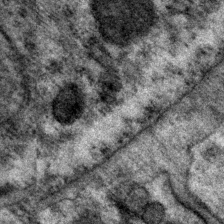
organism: P. pacificus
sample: Pharynx